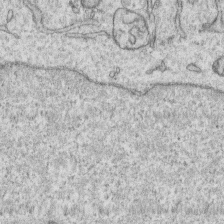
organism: Human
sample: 1205lu cells